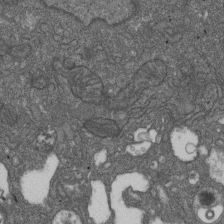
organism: Drosophila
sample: Nephrocyte